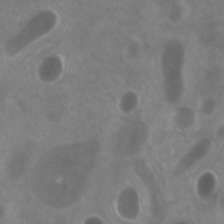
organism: Zebrafish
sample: Zebrafish embryo